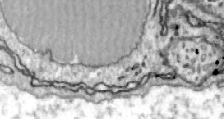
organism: Zebrafish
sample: Actinotrichia fibers